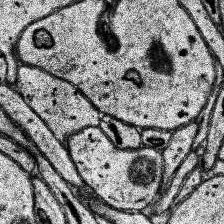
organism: Human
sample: Temporal Lobe